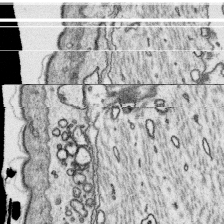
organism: Platynereis dumerilii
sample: Parapodia